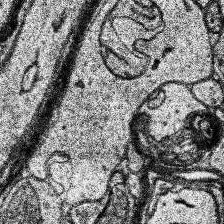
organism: Human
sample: Temporal Lobe